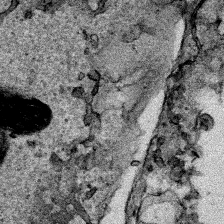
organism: Human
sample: Mitochondria in HCT116 cells